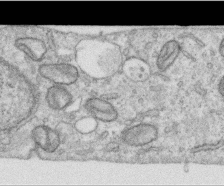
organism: Human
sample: Centriole in RPE cells